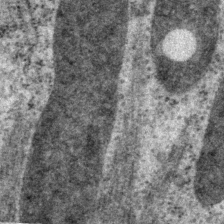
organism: P. pacificus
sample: Pharynx